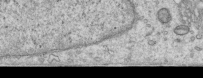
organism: Human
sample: Centriole in RPE cells